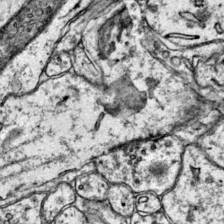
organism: Mouse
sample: Primary visual cortex